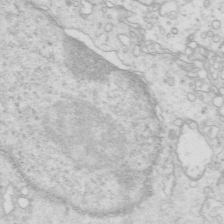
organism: Mouse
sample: Multiciliated cells